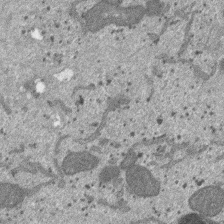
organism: Human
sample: Lung epithelial cells infected with SARS-CoV-2